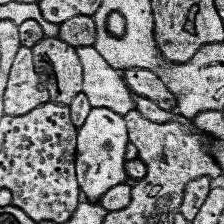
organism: Human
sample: Temporal Lobe